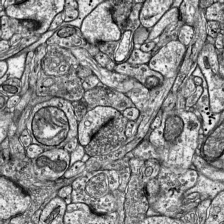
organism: Mouse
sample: Visual Cortex